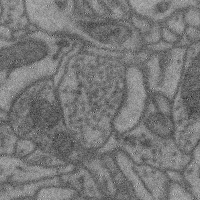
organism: Mouse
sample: Cerebral cortex